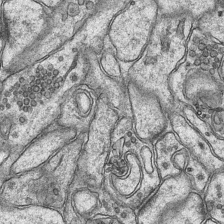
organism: Mouse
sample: CA1 Hippocampus